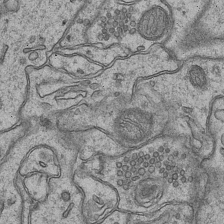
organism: Mouse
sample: CA1 Hippocampus